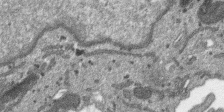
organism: Human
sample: Lung epithelial cells infected with SARS-CoV-2